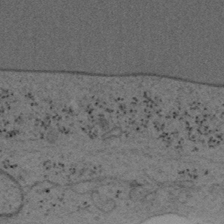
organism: Human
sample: HeLa cells